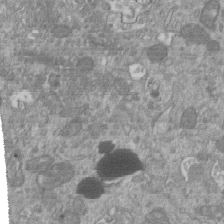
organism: Mouse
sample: ED-1 cell nuclei; centrioles